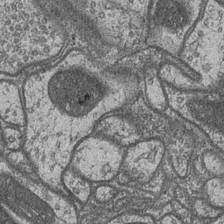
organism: Drosophila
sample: Optic medulla